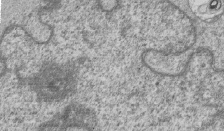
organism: Human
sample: MDA-MB-231 cells